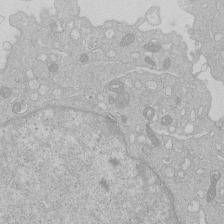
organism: Human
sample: Macrophage cells